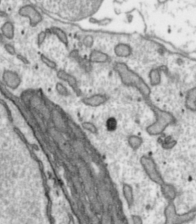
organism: Toxoplasma gondii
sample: Parasites in a vacuole inside a host cell